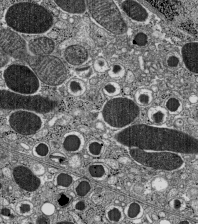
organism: C57BL Mouse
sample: Pancreatic islet